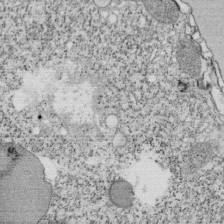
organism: Tetrahymena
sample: Cilia in tetrahymena